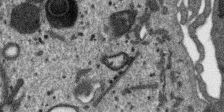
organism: Human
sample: Lung epithelial cells infected with SARS-CoV-2